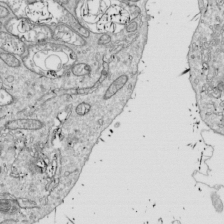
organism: Drosophila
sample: Cell division; meiosis; drosophila spermatocytes